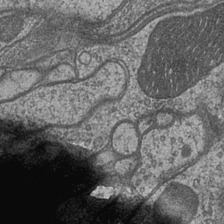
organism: Drosophila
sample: Optic medulla